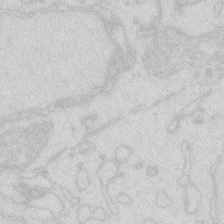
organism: Zebrafish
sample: Macrophage